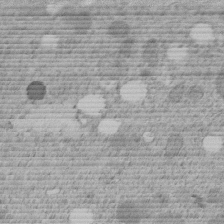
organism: C. elegans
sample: C. elegans embryo early stage